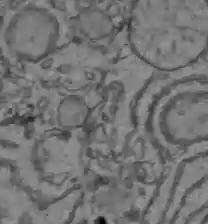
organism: C57BL Mouse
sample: Liver